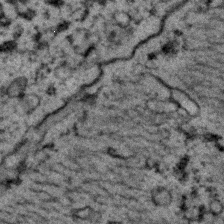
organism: C. elegans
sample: C. elegans embryo